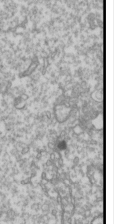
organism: Drosophila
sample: Cell division; meiosis; drosophila spermatocytes